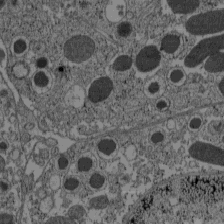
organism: C57BL Mouse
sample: Pancreatic islet